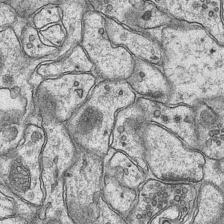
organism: Mouse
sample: CA1 Hippocampus